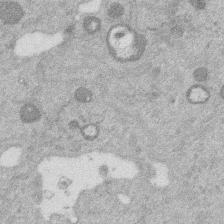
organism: Mouse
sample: Dividing mouse embryo 1 cell stage